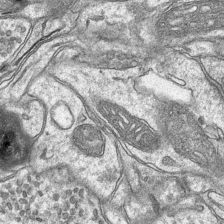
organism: Mouse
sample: CA1 Hippocampus